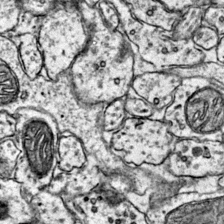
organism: Mouse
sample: Primary visual cortex